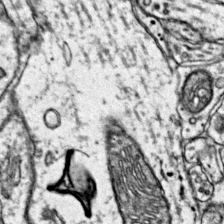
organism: Mouse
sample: Primary visual cortex